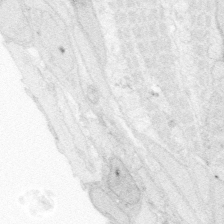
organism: Zebrafish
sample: Whole-Brain